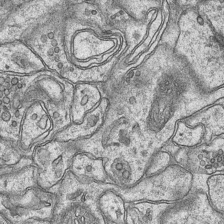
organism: Mouse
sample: CA1 Hippocampus